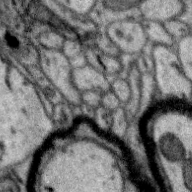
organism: Zebra finch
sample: Brain